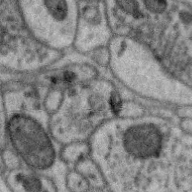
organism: Zebra finch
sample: Brain